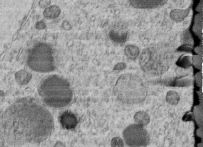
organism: C. elegans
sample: C. elegans embryo early stage